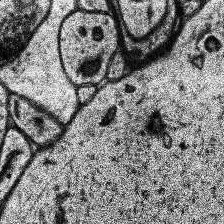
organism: Human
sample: Temporal Lobe